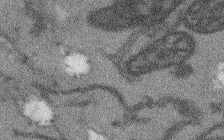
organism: Arabidopsis thaliana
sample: Root tip